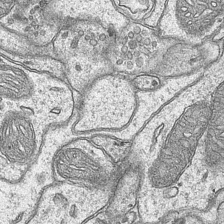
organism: Mouse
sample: CA1 Hippocampus